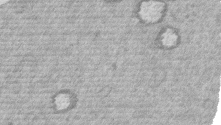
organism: Mouse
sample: Dividing mouse embryo 1 cell stage